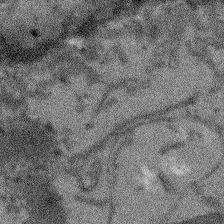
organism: Arabidopsis thaliana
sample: Root tip